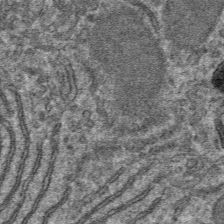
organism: Mouse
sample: Mouse hepatocytes